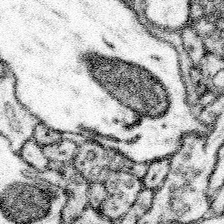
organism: Mouse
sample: Somatosensory cortex neuropil